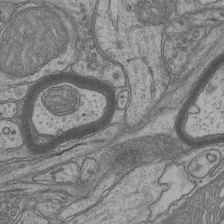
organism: Mouse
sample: CA1 Hippocampus